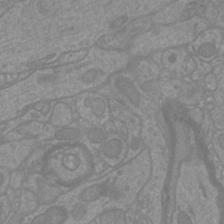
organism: Mouse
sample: Cortical neurons